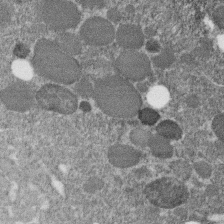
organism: C. elegans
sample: C. elegans embryo early stage